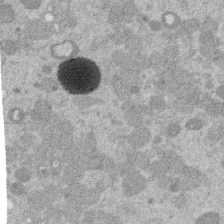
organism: Mouse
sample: Dividing mouse embryo 1 cell stage